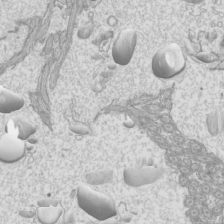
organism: Mouse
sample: Cilia; mouse epididymis